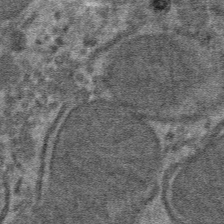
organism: Mouse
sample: Mouse hepatocytes